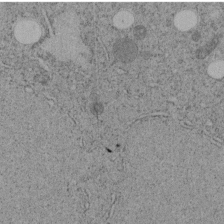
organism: C. elegans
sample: C. elegans embryo early stage